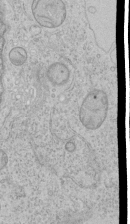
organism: Human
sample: Mitochondria in HCT116 cells